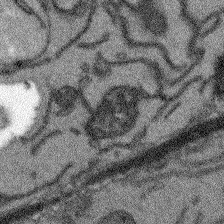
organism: Arabidopsis thaliana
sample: Root tip